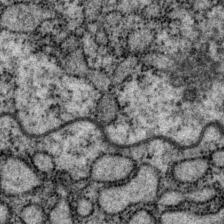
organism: P. pacificus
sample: Pharynx